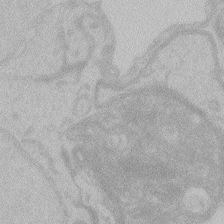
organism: Zebrafish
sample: Macrophage infected with Toxoplasma gondii